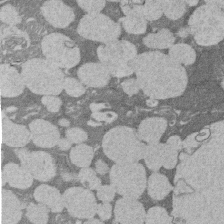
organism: Rat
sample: Salivary granule